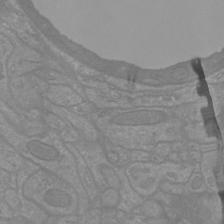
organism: Mouse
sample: Cortical neurons